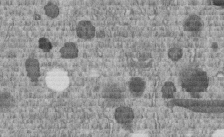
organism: C. elegans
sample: C. elegans embryo early stage